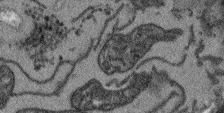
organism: Arabidopsis thaliana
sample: Root tip